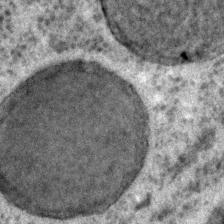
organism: C. elegans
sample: C. elegans embryo